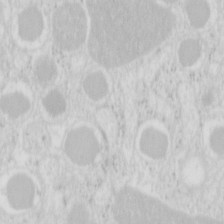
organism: Mouse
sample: Pancreas